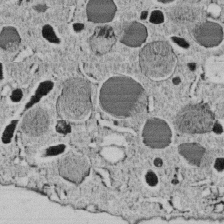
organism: C. elegans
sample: C. elegans embryo early stage